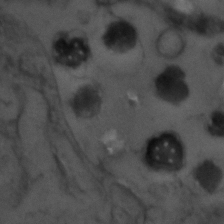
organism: Zebrafish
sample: Zebrafish embryo